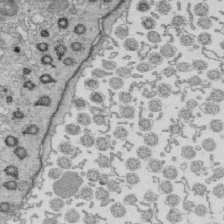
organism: Mouse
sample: Multiciliated cells